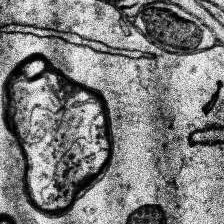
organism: Human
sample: Temporal Lobe